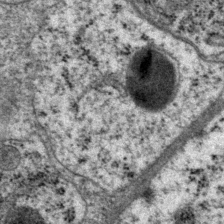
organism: P. pacificus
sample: Pharynx